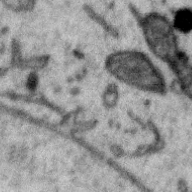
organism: Zebra finch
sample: Brain